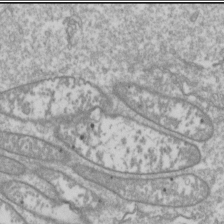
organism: Drosophila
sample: Cell division; meiosis; drosophila spermatocytes